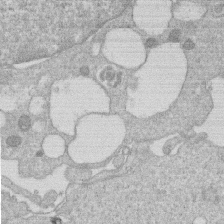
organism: Human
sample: Macrophage cells